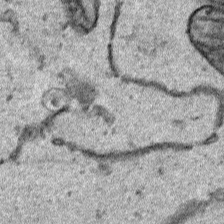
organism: Human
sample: Mitochondria in HCT116 cells